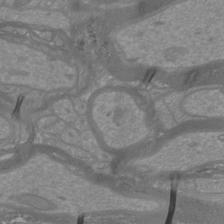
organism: Mouse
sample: Cortical neurons